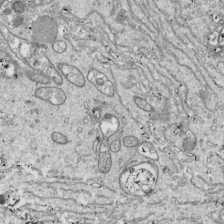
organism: Drosophila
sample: Cell division; meiosis; drosophila spermatocytes